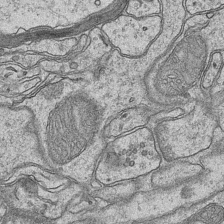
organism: Mouse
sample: CA1 Hippocampus